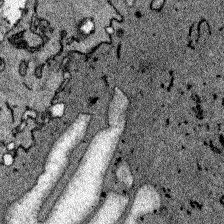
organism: Zebrafish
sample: Larval olfactory bulb